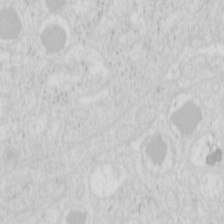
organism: Mouse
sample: Pancreas